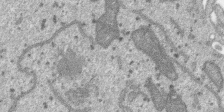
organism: Human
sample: Lung epithelial cells infected with SARS-CoV-2